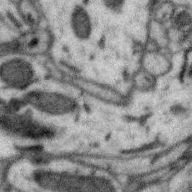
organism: Zebra finch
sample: Brain